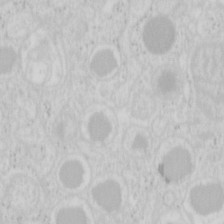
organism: Mouse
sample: Pancreas